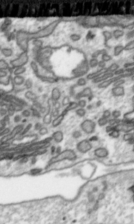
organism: Toxoplasma gondii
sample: Parasites in a vacuole inside a host cell